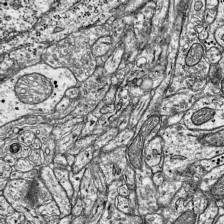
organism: Mouse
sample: Visual Cortex